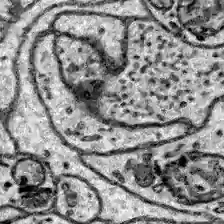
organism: Zebrafish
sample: Brain